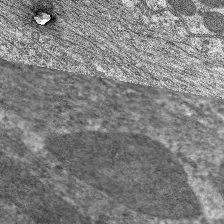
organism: C. elegans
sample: Pharynx